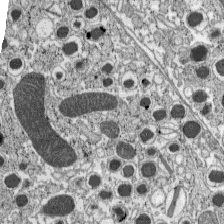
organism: C57BL Mouse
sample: Pancreatic islet